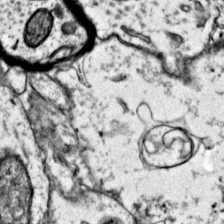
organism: Mouse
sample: Primary visual cortex